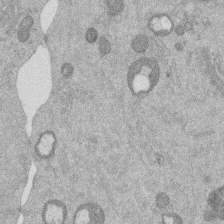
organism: Mouse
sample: Dividing mouse embryo 1 cell stage